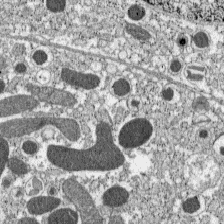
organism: C57BL Mouse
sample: Pancreatic islet